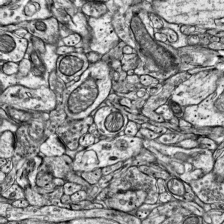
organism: Mouse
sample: Visual Cortex